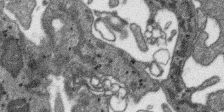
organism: Human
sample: Lung epithelial cells infected with SARS-CoV-2